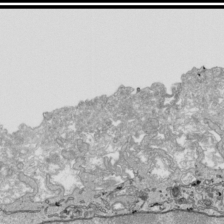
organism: Human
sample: Mitochondria in HCT116 cells